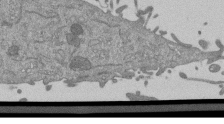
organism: Mouse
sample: ED-1 cell nuclei; centrioles